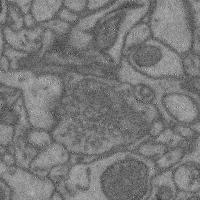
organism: Mouse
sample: Cerebral cortex